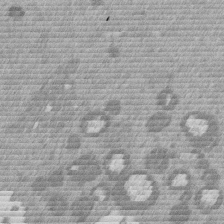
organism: Mouse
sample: Dividing mouse embryo 1 cell stage